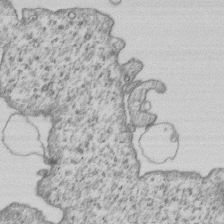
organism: Human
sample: MDA-MB-231 cells